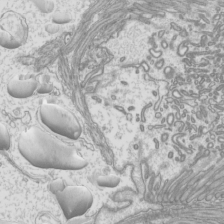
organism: Mouse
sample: Cilia; mouse epididymis